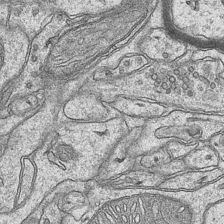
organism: Mouse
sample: CA1 Hippocampus